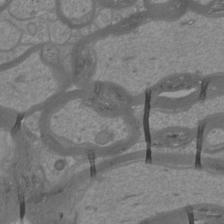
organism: Mouse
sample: Cortical neurons